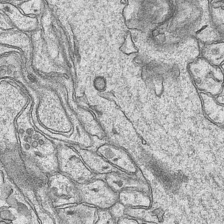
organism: Mouse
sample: CA1 Hippocampus